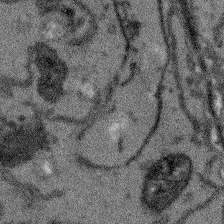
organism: Arabidopsis thaliana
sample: Root tip